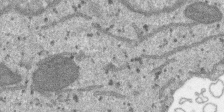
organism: Human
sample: Lung epithelial cells infected with SARS-CoV-2